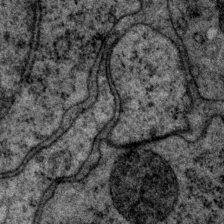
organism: P. pacificus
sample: Pharynx